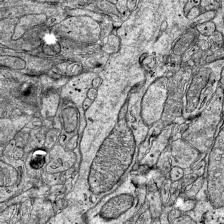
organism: Mouse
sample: Visual Cortex